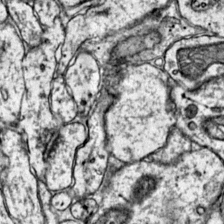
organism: Mouse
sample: Primary visual cortex